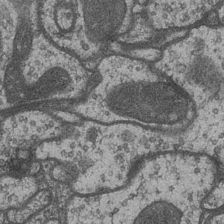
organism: Drosophila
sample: Optic medulla